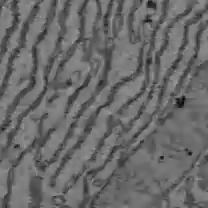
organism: C57BL Mouse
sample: Liver